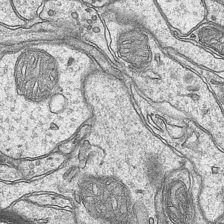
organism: Mouse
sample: CA1 Hippocampus